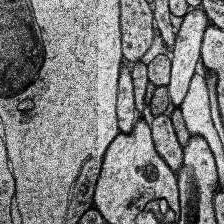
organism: Human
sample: Temporal Lobe